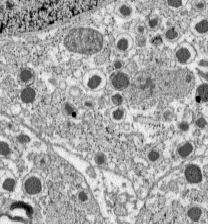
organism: C57BL Mouse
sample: Pancreatic islet